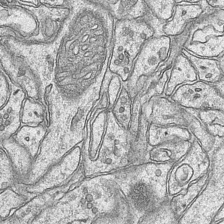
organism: Mouse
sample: CA1 Hippocampus